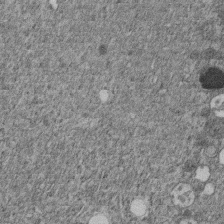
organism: C. elegans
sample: C. elegans embryo early stage